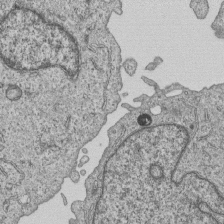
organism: Human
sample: MDA-MB-231 cells